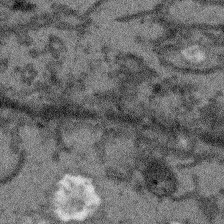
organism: Arabidopsis thaliana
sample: Root tip